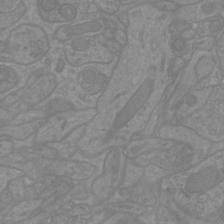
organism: Mouse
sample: Cortical neurons